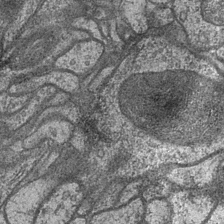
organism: Drosophila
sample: Optic medulla